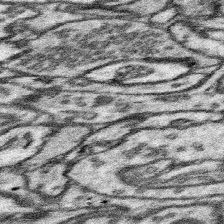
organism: Mouse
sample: Somatosensory cortex neuropil